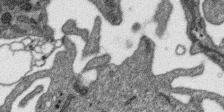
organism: Human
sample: Lung epithelial cells infected with SARS-CoV-2